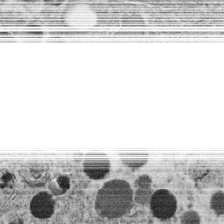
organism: C. elegans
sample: C. elegans oocyte; sperm cells